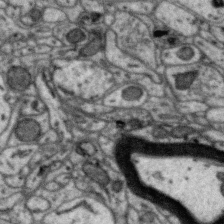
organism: Zebra finch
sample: Brain